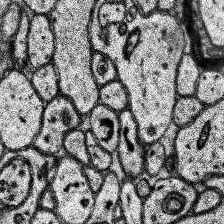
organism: Human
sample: Temporal Lobe